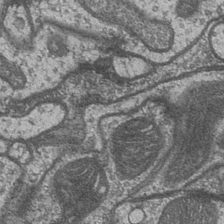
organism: Drosophila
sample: Optic medulla